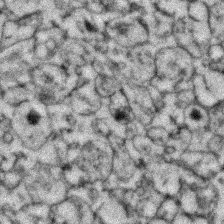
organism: Zebrafish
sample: Zebrafish embryo